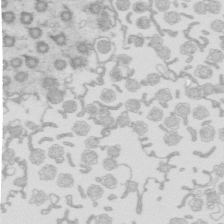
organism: Mouse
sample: Multiciliated cells